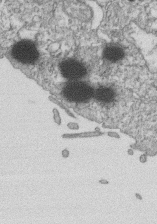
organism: Human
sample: HeLa cell HIV synapse